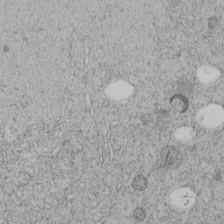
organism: C. elegans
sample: C. elegans embryo early stage